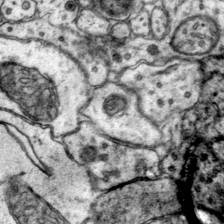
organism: Mouse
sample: Primary visual cortex